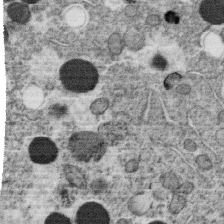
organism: C. elegans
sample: C. elegans oocyte; sperm cells